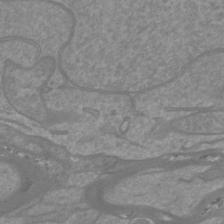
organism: Mouse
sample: Cortical neurons